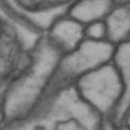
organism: Drosophila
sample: Brain